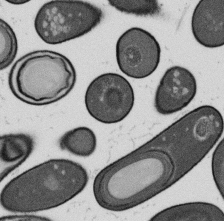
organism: B. subtilis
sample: Bacterial spore